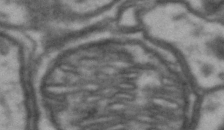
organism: Drosophila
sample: Brain